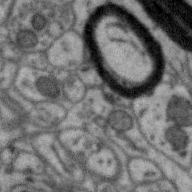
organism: Zebra finch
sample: Brain